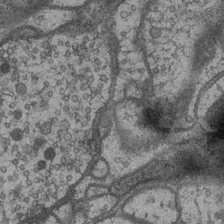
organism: Drosophila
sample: Optic medulla